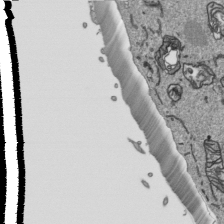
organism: Human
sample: Mitochondria in HCT116 cells